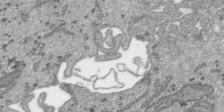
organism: Human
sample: Lung epithelial cells infected with SARS-CoV-2